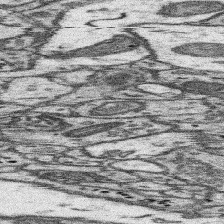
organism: Mouse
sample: Somatosensory cortex neuropil